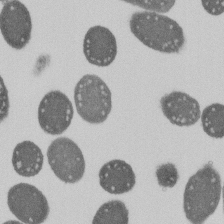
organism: E. coli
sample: Bacterial nucleoid